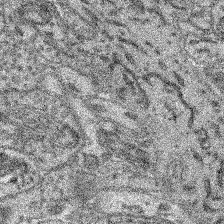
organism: Mouse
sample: Retina